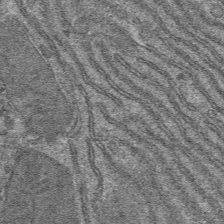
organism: Mouse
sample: Mouse hepatocytes